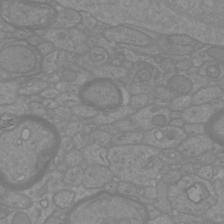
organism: Mouse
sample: Cortical neurons